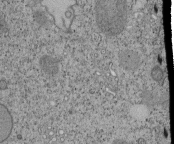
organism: Tetrahymena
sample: Cilia in tetrahymena